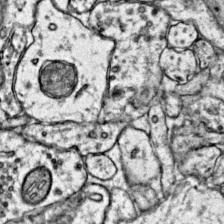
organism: Mouse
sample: Primary visual cortex